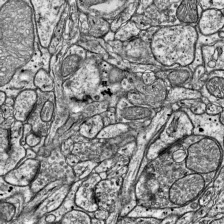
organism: Mouse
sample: Visual Cortex